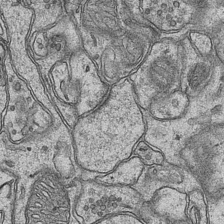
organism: Mouse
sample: CA1 Hippocampus